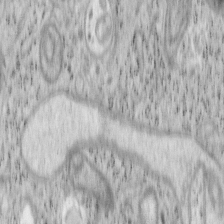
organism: Human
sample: HeLa cells